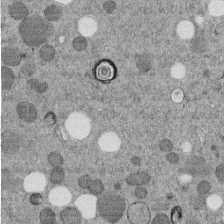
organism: C. elegans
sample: C. elegans embryo early stage